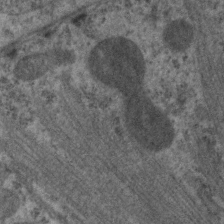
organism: C. elegans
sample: Pharynx